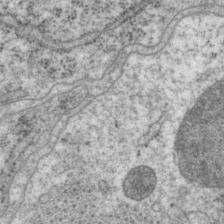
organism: P. pacificus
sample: Pharynx